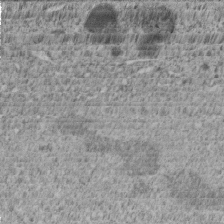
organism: C. elegans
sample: C. elegans embryo early stage